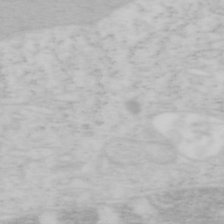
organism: Mouse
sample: OT-I killer T cells with ID8 ovarian cancer cells